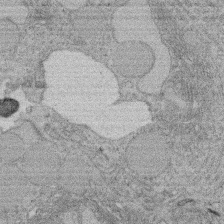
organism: Rat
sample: Salivary granule